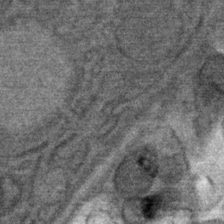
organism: Mouse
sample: Mouse Salivary gland